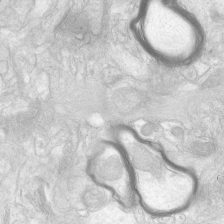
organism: Human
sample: Neocortex